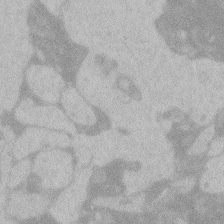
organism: Zebrafish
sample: Macrophage infected with Toxoplasma gondii